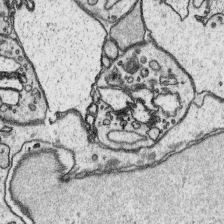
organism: Platynereis dumerilii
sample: Parapodia